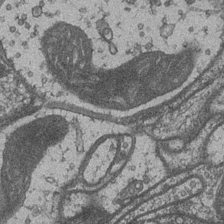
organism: Drosophila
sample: Optic medulla